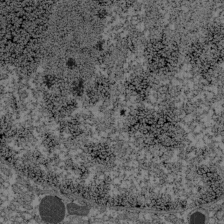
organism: C57BL Mouse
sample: Pancreatic islet